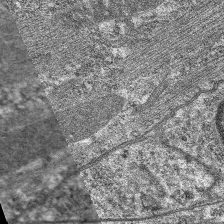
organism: C. elegans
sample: Pharynx